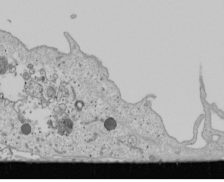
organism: Human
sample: Mitochondria in U2OS cells